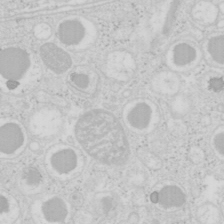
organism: Mouse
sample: Pancreas